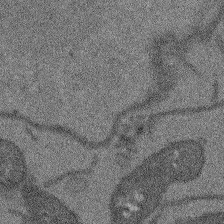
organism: Arabidopsis thaliana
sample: Root tip